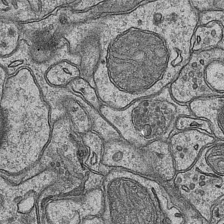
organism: Mouse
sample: CA1 Hippocampus